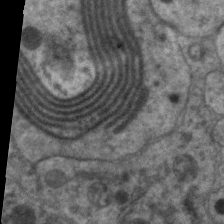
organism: C. elegans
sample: Pharynx